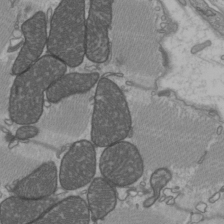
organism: C57BL Mouse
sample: Heart